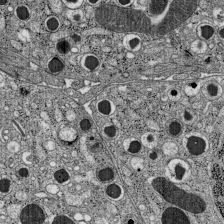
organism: C57BL Mouse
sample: Pancreatic islet